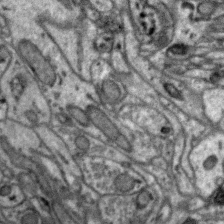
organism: Zebra finch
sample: Brain